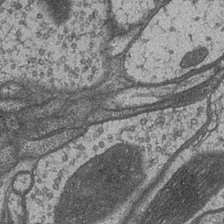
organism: Drosophila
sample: Optic medulla